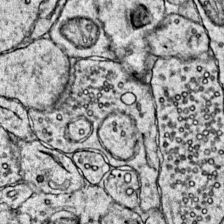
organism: Mouse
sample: Primary visual cortex